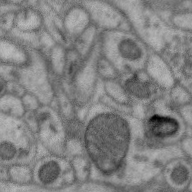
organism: Zebra finch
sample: Brain